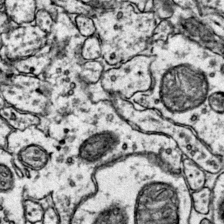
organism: Mouse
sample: Primary visual cortex